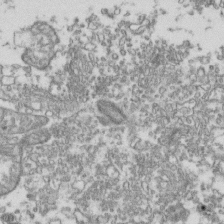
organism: Human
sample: Activated Jurkat CD4+ T cells